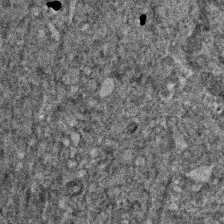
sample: Trachea